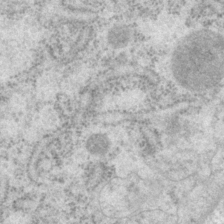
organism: P. pacificus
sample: Pharynx